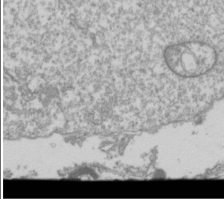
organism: Drosophila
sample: Cell division; meiosis; drosophila spermatocytes